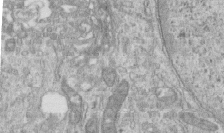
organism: Human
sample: Centriole in RPE cells